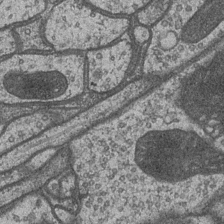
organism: Drosophila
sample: Optic medulla